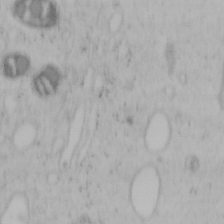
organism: Mouse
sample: OT-I killer T cells with ID8 ovarian cancer cells